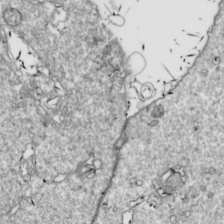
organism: Drosophila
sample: Cell division; meiosis; drosophila spermatocytes